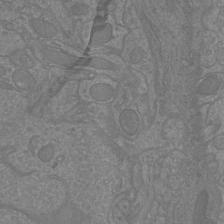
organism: Mouse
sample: Cortical neurons